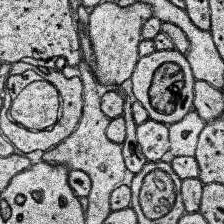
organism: Human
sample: Temporal Lobe